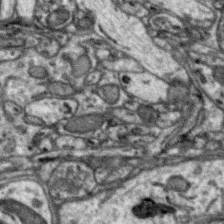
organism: Zebra finch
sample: Brain